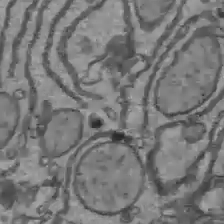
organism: C57BL Mouse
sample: Liver